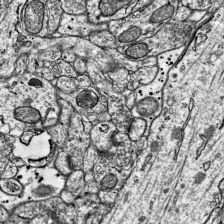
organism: Mouse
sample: Visual Cortex